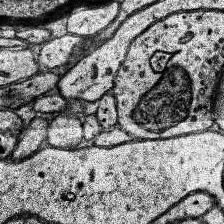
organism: Human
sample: Temporal Lobe